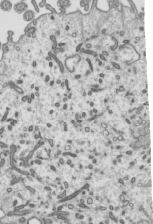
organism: Mouse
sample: Mouse epididymis efferent ductule cilia